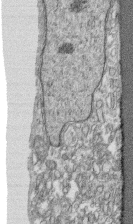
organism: Human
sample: CRL-1474